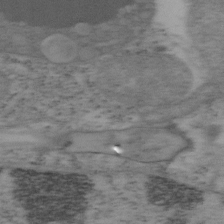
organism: Mouse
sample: OT-I killer T cells with ID8 ovarian cancer cells